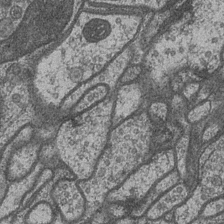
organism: Drosophila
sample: Optic medulla